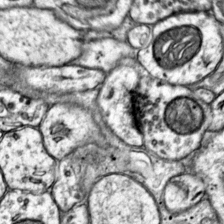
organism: Mouse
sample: Primary visual cortex